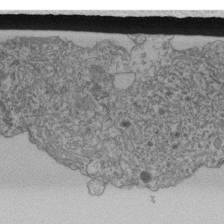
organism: Human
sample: Retinal organoid Rod and Cone cells